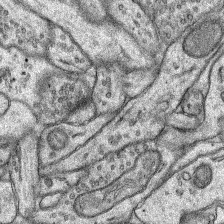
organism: Rat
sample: Hippocampus